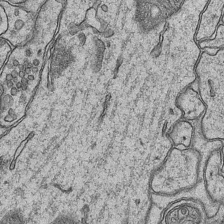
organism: Mouse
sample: CA1 Hippocampus